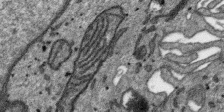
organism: Human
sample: Lung epithelial cells, uninfected (mock) control